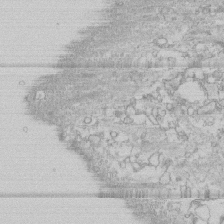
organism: Human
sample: CRL-1474